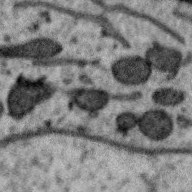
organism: Zebra finch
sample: Brain